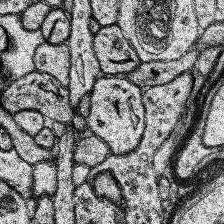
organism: Human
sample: Temporal Lobe